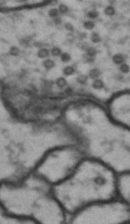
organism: Drosophila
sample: Brain